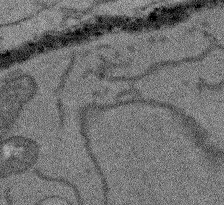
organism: Arabidopsis thaliana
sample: Root tip